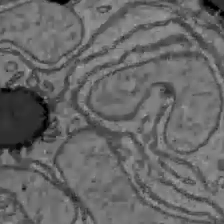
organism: C57BL Mouse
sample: Liver